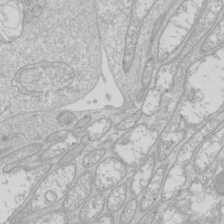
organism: Drosophila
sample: Cell division; meiosis; drosophila spermatocytes